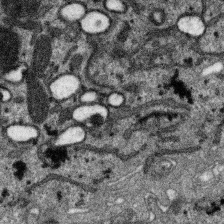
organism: Human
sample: Lung epithelial cells infected with SARS-CoV-2